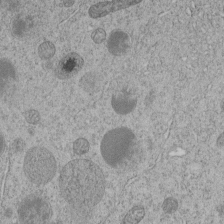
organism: C. elegans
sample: C. elegans embryo early stage